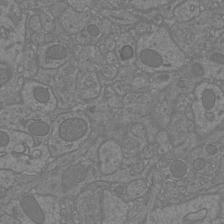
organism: Mouse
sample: Cortical neurons